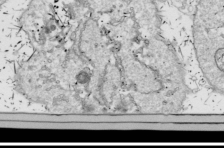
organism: Drosophila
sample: Cell division; meiosis; drosophila spermatocytes